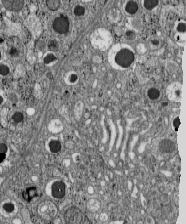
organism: C57BL Mouse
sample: Pancreatic islet